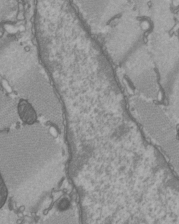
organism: C57BL Mouse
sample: Heart